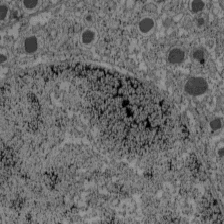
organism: C57BL Mouse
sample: Pancreatic islet